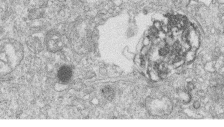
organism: Human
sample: HeLa cell HIV synapse